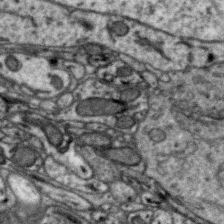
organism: Zebra finch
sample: Brain